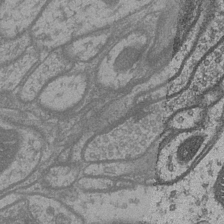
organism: Drosophila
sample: Optic medulla